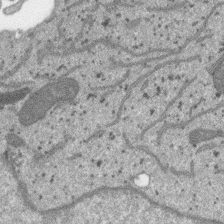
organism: Human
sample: Lung epithelial cells infected with SARS-CoV-2